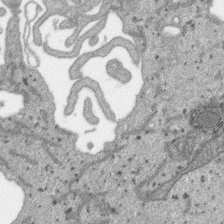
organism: Human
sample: Lung epithelial cells infected with SARS-CoV-2